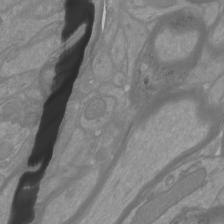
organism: Mouse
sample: Cortical neurons